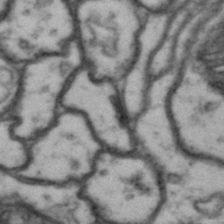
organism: Drosophila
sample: Brain